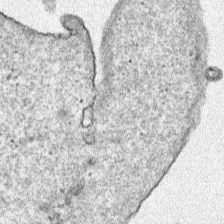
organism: Human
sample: Mitochondria in HCT116 cells